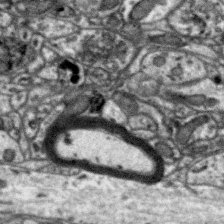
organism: Zebra finch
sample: Brain